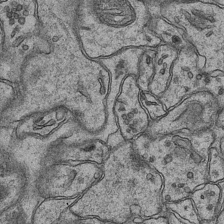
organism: Mouse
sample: CA1 Hippocampus